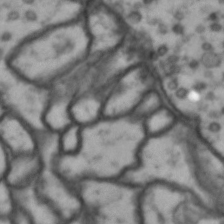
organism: Drosophila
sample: Brain